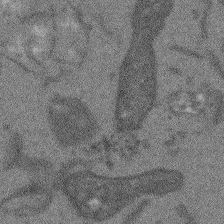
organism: Arabidopsis thaliana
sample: Root tip